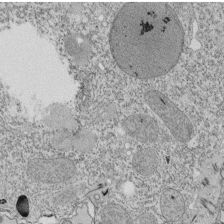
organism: Tetrahymena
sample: Cilia in tetrahymena